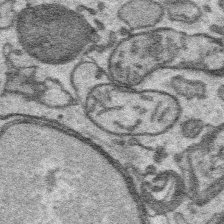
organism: Platynereis dumerilii